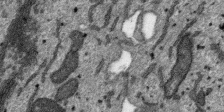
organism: Human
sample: Lung epithelial cells, uninfected (mock) control